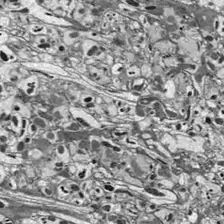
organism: Drosophila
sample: Optic lobe